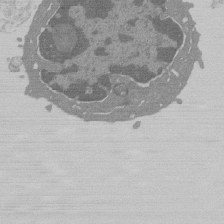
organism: Mouse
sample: Activated Pmel transgenic CD8+ T Cells